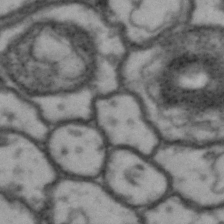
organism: Drosophila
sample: Brain